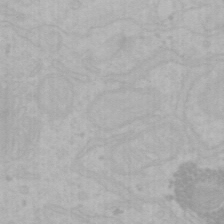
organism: Mouse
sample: Choroid plexus